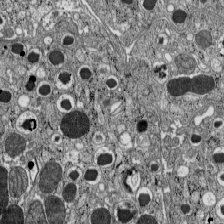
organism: C57BL Mouse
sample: Pancreatic islet